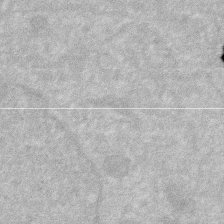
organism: Human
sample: HIV infected U937 cells